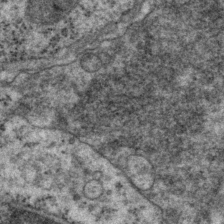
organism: P. pacificus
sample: Pharynx